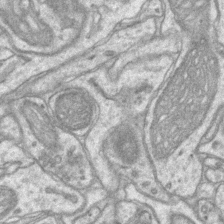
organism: Mouse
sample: CA1 Hippocampus